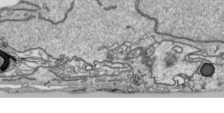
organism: Human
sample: Mitochondria in HCT116 cells